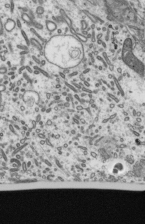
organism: Mouse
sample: Mouse epididymis efferent ductule cilia